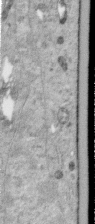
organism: Human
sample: Centriole in RPE cells